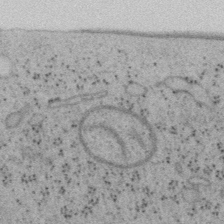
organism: Human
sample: HeLa cells